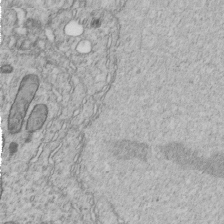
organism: C. elegans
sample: C. elegans embryo early stage